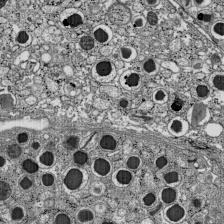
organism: C57BL Mouse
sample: Pancreatic islet